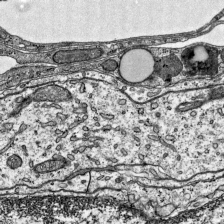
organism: Mouse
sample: Visual Cortex